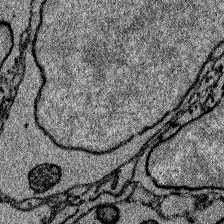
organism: Zebrafish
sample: Larval olfactory bulb